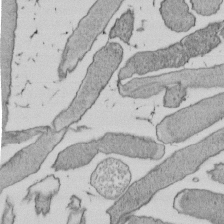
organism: E. coli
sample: Bacterial nucleoid